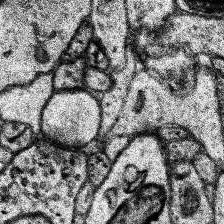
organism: Human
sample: Temporal Lobe